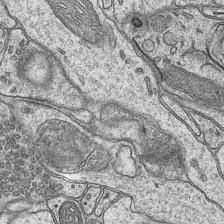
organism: Mouse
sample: CA1 Hippocampus